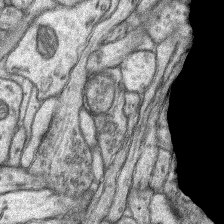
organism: Rat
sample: Hippocampus